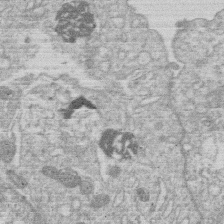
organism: Human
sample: Macrophage cells